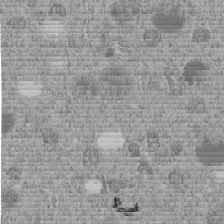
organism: C. elegans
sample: C. elegans embryo early stage